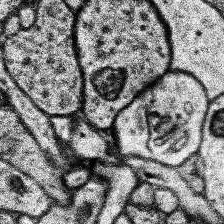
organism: Human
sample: Temporal Lobe